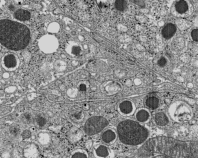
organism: C57BL Mouse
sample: Pancreatic islet